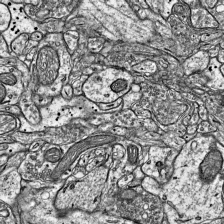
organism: Mouse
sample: Visual Cortex